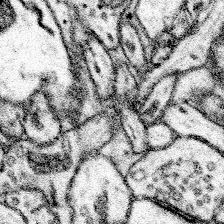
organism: Mouse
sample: Somatosensory cortex neuropil